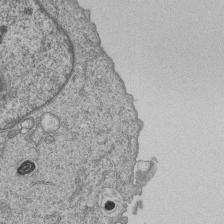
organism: Human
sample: MDA-MB-231 cells